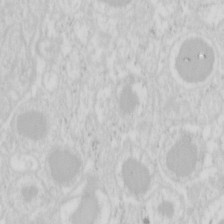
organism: Mouse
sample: Pancreas